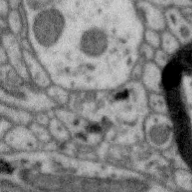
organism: Zebra finch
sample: Brain